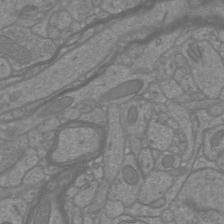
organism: Mouse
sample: Cortical neurons